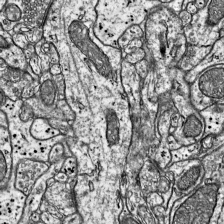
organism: Mouse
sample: Visual Cortex